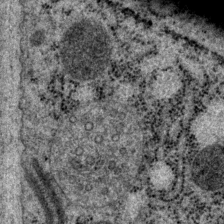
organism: P. pacificus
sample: Pharynx